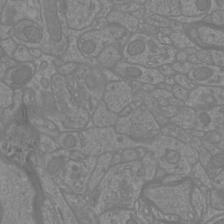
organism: Mouse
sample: Cortical neurons